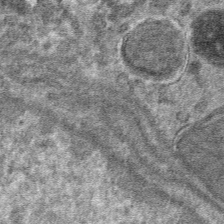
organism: Mouse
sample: Mouse hepatocytes